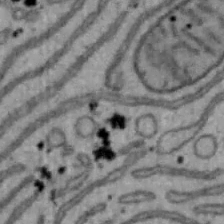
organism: Mouse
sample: Liver